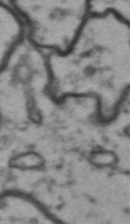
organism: Drosophila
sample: Brain